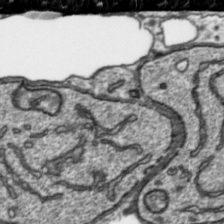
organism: Toxoplasma gondii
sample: Parasites in a vacuole inside a host cell